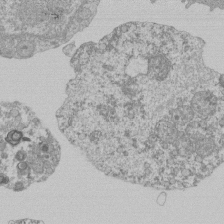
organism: Mouse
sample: Activated Pmel transgenic CD8+ T Cells